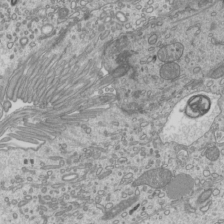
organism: Mouse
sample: Cilia; mouse epididymis